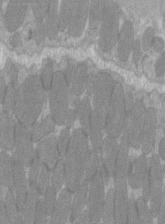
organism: C57BL Mouse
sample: Tibialis anterior muscle cell